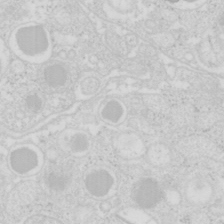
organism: Mouse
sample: Pancreas